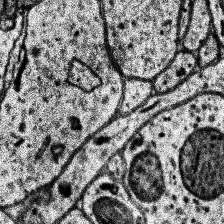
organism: Human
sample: Temporal Lobe